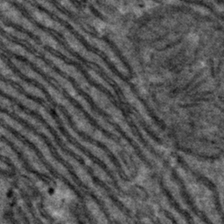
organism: Mouse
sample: Mouse hepatocytes